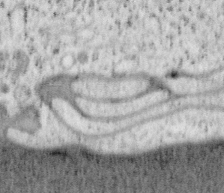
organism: Mouse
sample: OT-I killer T cells with ID8 ovarian cancer cells